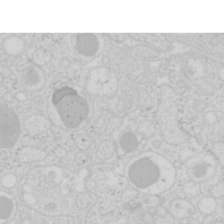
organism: Mouse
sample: Pancreas